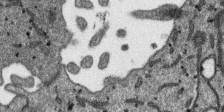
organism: Human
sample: Lung epithelial cells infected with SARS-CoV-2